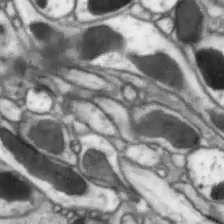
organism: Drosophila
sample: Optic lobe